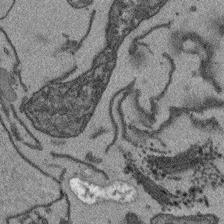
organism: Arabidopsis thaliana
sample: Root tip